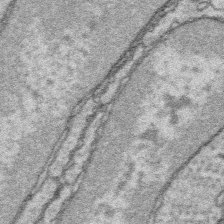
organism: Platynereis dumerilii